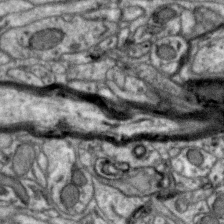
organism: Zebra finch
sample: Brain